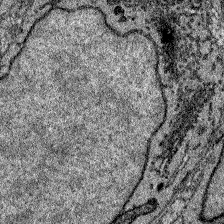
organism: Zebrafish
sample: Larval olfactory bulb